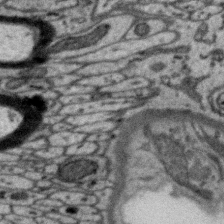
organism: Zebra finch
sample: Brain